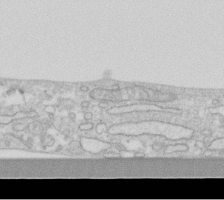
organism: Human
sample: Fibroblast cells